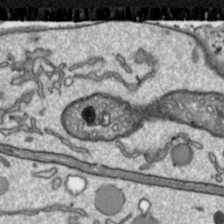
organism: Toxoplasma gondii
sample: Parasites in a vacuole inside a host cell